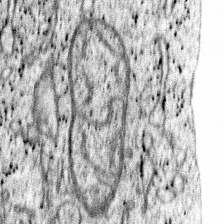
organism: Human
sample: HeLa cells